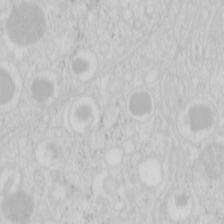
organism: Mouse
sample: Pancreas